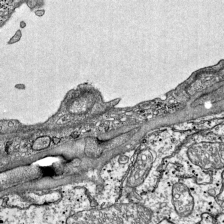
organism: Mouse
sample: Visual Cortex